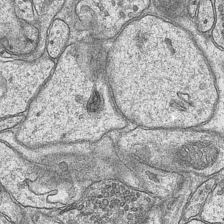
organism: Mouse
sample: CA1 Hippocampus